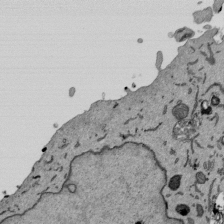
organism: Mouse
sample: ED-1 cell nuclei; centrioles